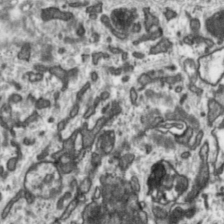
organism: Toxoplasma gondii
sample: Parasites in a vacuole inside a host cell